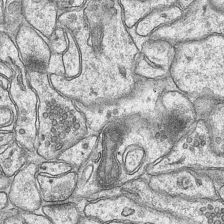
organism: Mouse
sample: CA1 Hippocampus